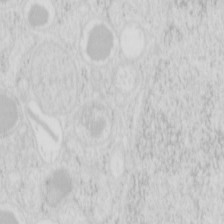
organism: Mouse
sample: Pancreas